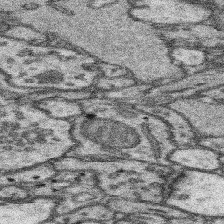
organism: Mouse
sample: Somatosensory cortex neuropil